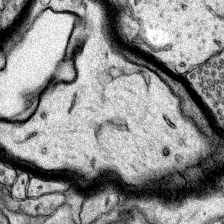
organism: Rat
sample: Hippocampus